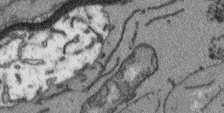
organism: Arabidopsis thaliana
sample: Root tip